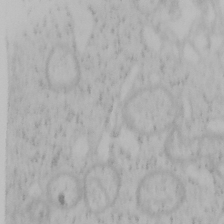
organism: Mouse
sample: OT-I killer T cells with ID8 ovarian cancer cells